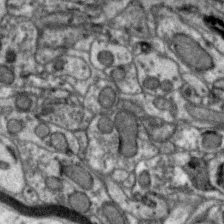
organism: Zebra finch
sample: Brain